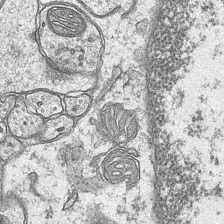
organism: Mouse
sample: CA1 Hippocampus